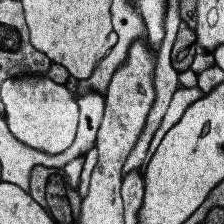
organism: Human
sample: Temporal Lobe